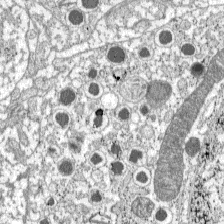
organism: C57BL Mouse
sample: Pancreatic islet